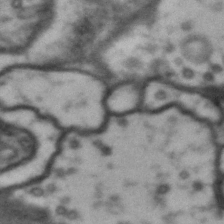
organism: Drosophila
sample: Brain